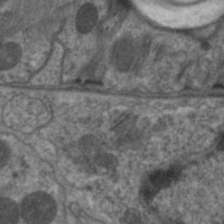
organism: C. elegans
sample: Pharynx